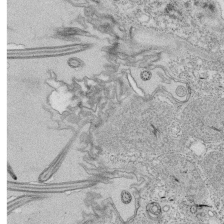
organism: Tetrahymena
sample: Cilia in tetrahymena